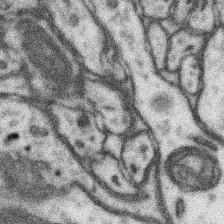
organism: Mouse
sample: Somatosensory cortex neuropil